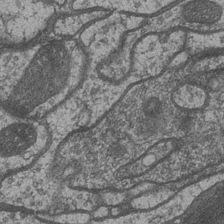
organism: Drosophila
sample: Optic medulla